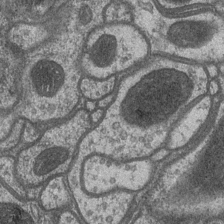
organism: Drosophila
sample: Optic medulla